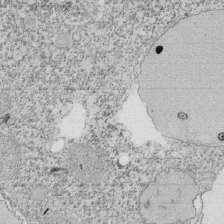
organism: Tetrahymena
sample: Cilia in tetrahymena